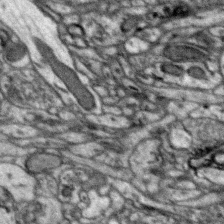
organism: Zebra finch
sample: Brain